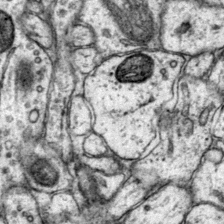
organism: Mouse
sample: Primary visual cortex